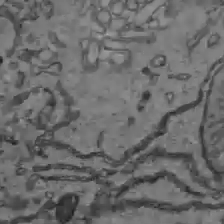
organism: C57BL Mouse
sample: Liver